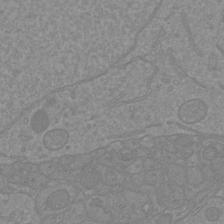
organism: Mouse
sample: Cortical neurons